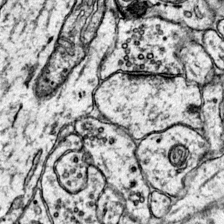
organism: Mouse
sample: Primary visual cortex